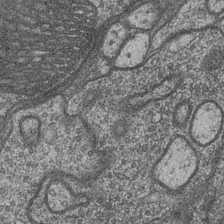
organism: Drosophila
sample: Optic medulla